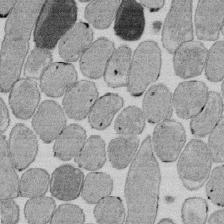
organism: E. coli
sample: Bacterial nucleoid